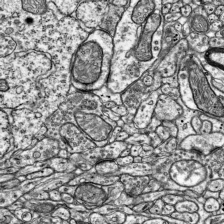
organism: Mouse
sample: Visual Cortex